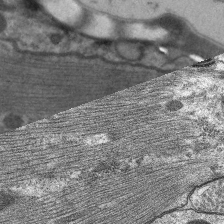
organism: C. elegans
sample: Pharynx